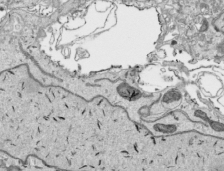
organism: Human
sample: Mitochondria in HCT116 cells